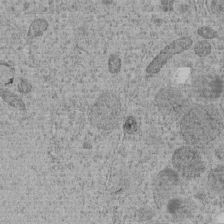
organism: C. elegans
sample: C. elegans embryo early stage